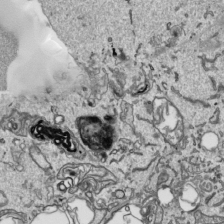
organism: Human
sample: Mitochondria in HCT116 cells